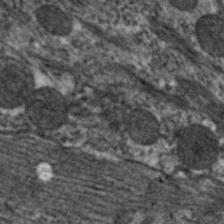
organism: C. elegans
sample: Pharynx